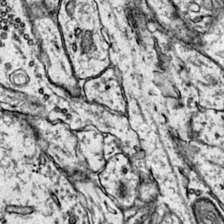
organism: Mouse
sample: Primary visual cortex